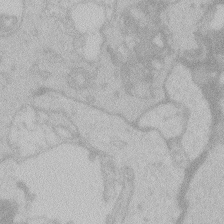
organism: Zebrafish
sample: Macrophage infected with Toxoplasma gondii